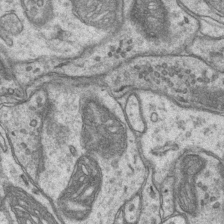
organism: Mouse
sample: CA1 Hippocampus